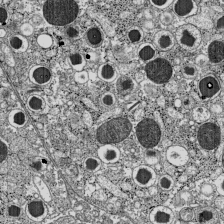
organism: C57BL Mouse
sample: Pancreatic islet